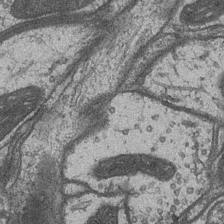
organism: Drosophila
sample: Optic medulla